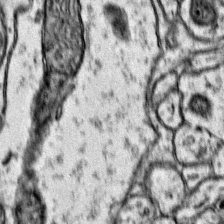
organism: Mouse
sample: Primary visual cortex